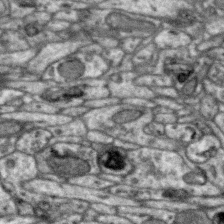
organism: Zebra finch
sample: Brain